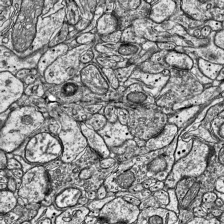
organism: Mouse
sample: Visual Cortex